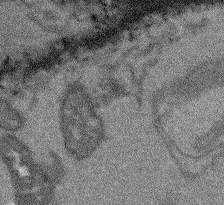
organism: Arabidopsis thaliana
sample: Root tip